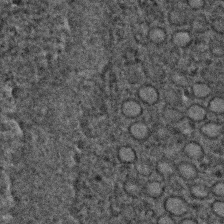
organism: C. elegans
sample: C. elegans embryo